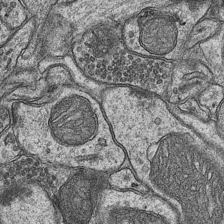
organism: Mouse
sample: CA1 Hippocampus